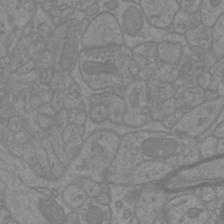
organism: Mouse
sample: Cortical neurons